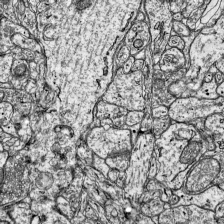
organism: Mouse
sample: Visual Cortex